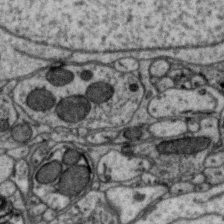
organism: Zebra finch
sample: Brain